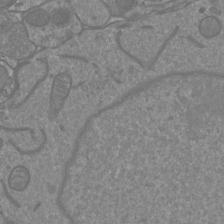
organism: Mouse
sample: Cortical neurons